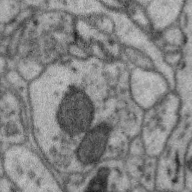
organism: Zebra finch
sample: Brain